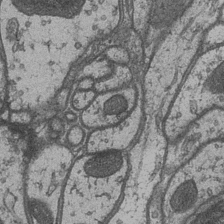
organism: Drosophila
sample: Optic medulla